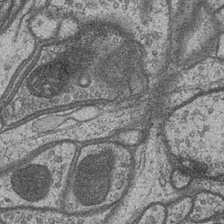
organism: Drosophila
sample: Optic medulla